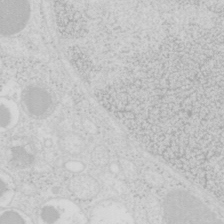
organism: Mouse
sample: Pancreas